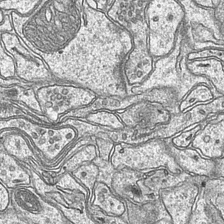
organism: Mouse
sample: CA1 Hippocampus